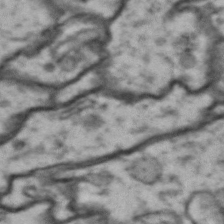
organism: Drosophila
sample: Brain